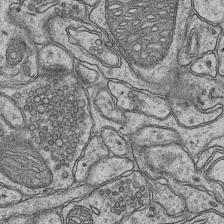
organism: Mouse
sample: CA1 Hippocampus